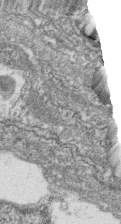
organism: Zebrafish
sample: Cilia; retinal pigment epithelium